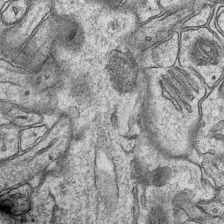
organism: Mouse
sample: CA1 Hippocampus